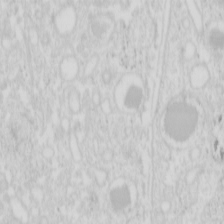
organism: Mouse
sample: Pancreas